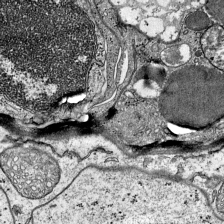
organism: Mouse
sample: Visual Cortex